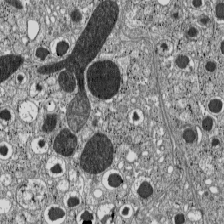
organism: C57BL Mouse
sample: Pancreatic islet